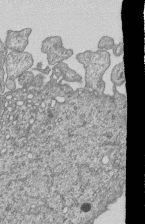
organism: Human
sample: MDA-MB-231 cells